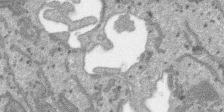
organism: Human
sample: Lung epithelial cells infected with SARS-CoV-2